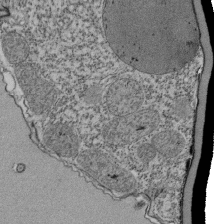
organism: Tetrahymena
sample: Cilia in tetrahymena